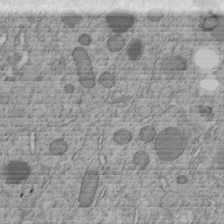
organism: C. elegans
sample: C. elegans embryo early stage